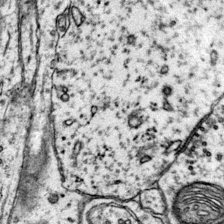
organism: Mouse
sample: Primary visual cortex